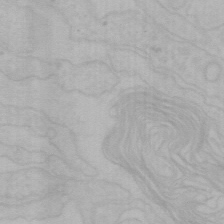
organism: Mouse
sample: Choroid plexus